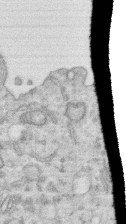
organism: Human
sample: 1205lu cells